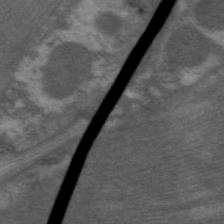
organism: C. elegans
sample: Pharynx